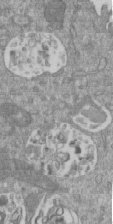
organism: Mouse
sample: ED-1 cell nuclei; centrioles